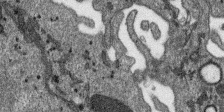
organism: Human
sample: Lung epithelial cells infected with SARS-CoV-2